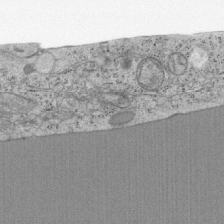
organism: Human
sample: HeLa cells